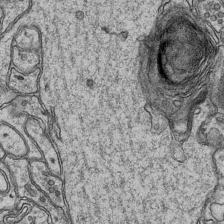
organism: Mouse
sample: CA1 Hippocampus